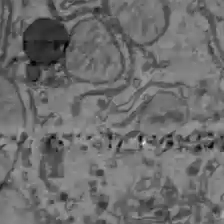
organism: C57BL Mouse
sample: Liver